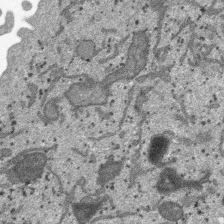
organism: Human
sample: Lung epithelial cells infected with SARS-CoV-2